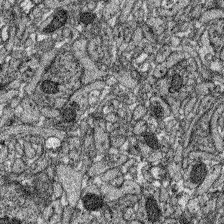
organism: Zebrafish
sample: Larval olfactory bulb